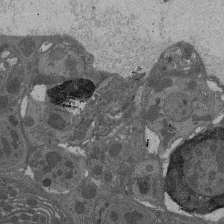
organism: Drosophila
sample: Antenna